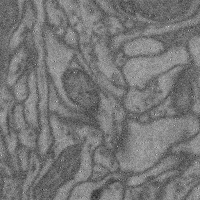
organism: Mouse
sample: Cerebral cortex